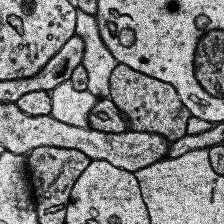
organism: Human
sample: Temporal Lobe